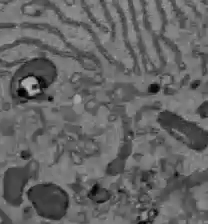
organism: C57BL Mouse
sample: Liver